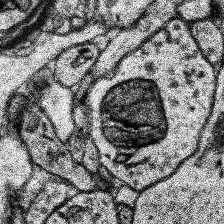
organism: Human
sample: Temporal Lobe